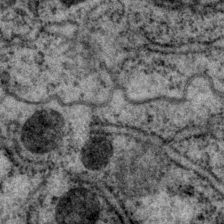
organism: P. pacificus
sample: Pharynx